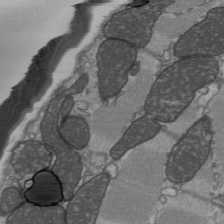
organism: C57BL Mouse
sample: Heart